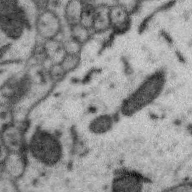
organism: Zebra finch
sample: Brain